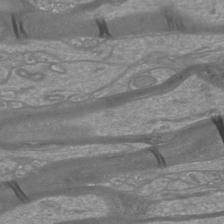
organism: Mouse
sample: Cortical neurons